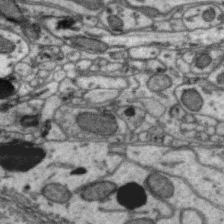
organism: Zebra finch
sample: Brain